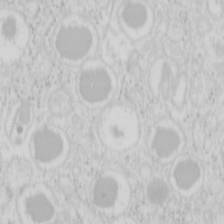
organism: Mouse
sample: Pancreas